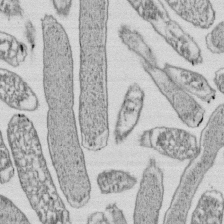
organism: E. coli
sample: Bacterial nucleoid